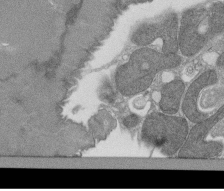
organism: Tetrahymena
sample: Cilia in tetrahymena